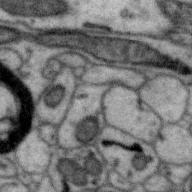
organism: Zebra finch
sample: Brain